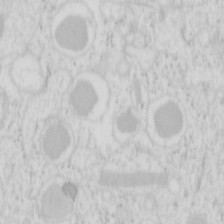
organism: Mouse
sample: Pancreas